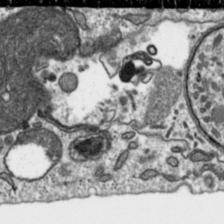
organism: Toxoplasma gondii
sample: Parasites in a vacuole inside a host cell